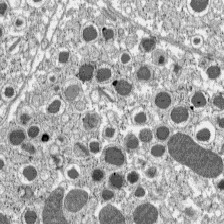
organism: C57BL Mouse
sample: Pancreatic islet